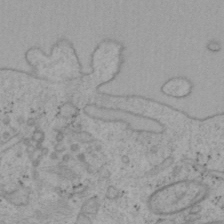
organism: Human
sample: HeLa cells